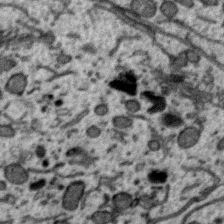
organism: Zebra finch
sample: Brain